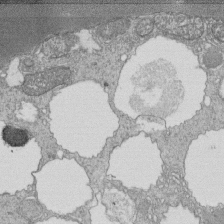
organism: Tetrahymena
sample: Cilia in tetrahymena